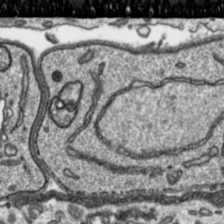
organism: Toxoplasma gondii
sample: Parasites in a vacuole inside a host cell